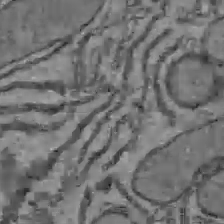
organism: C57BL Mouse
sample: Liver